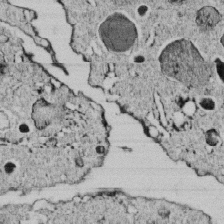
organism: C. elegans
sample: C. elegans embryo early stage